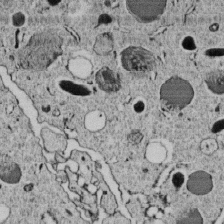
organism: C. elegans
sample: C. elegans embryo early stage